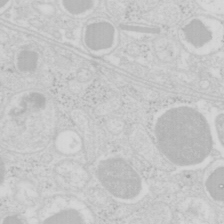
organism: Mouse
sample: Pancreas